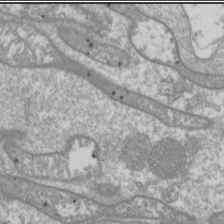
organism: Drosophila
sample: Cell division; meiosis; drosophila spermatocytes